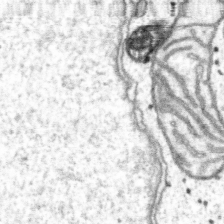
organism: Human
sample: HeLa cells